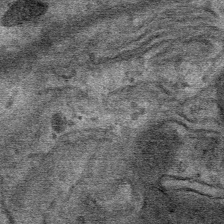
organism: Mouse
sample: Mouse Salivary gland